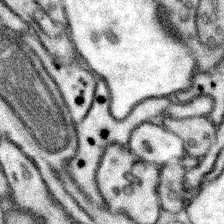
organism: Mouse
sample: Somatosensory cortex neuropil